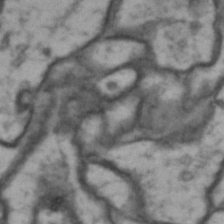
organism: Drosophila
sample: Brain